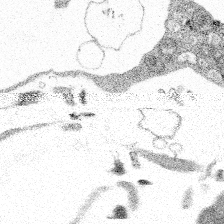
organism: Spongilla lacustris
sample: Multiple